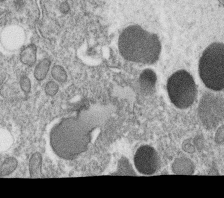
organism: C. elegans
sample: C. elegans oocyte; sperm cells